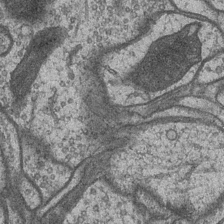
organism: Drosophila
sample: Optic medulla